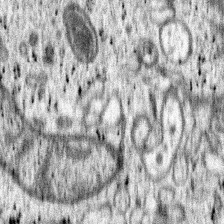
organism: Human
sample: HeLa cells